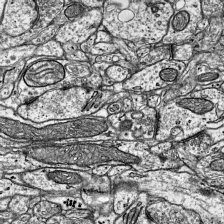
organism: Mouse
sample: Visual Cortex